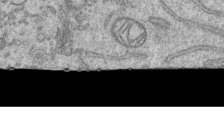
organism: Human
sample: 1205lu cells